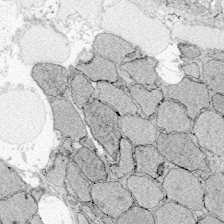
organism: Zebrafish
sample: Whole-Brain